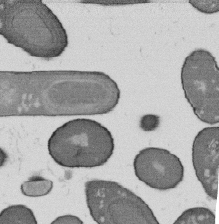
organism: B. subtilis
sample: Bacterial spore